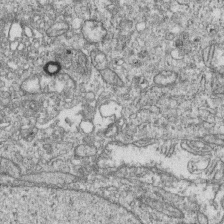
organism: Human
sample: HeLa cell HIV synapse